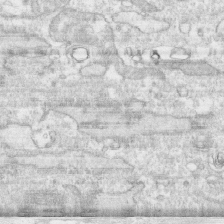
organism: Human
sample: CRL-1474